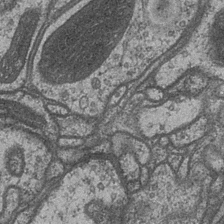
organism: Drosophila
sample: Optic medulla